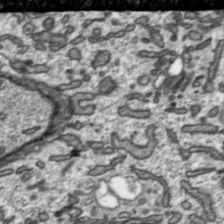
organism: Toxoplasma gondii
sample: Parasites in a vacuole inside a host cell